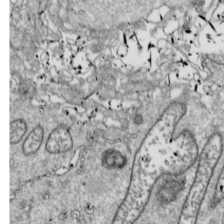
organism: Drosophila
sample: Cell division; meiosis; drosophila spermatocytes